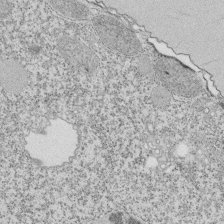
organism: Tetrahymena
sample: Cilia in tetrahymena